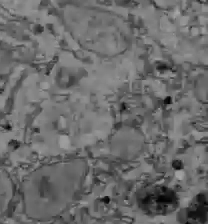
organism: C57BL Mouse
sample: Liver